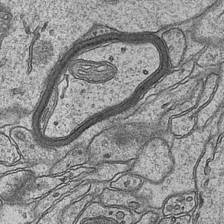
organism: Mouse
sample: CA1 Hippocampus